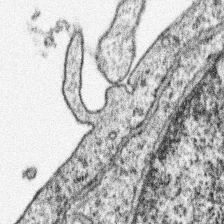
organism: Human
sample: HeLa cells